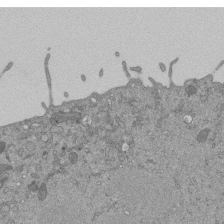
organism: Mouse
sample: ED-1 cell nuclei; centrioles